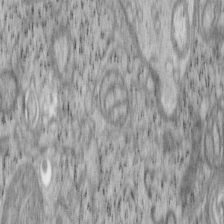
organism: Human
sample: HeLa cells